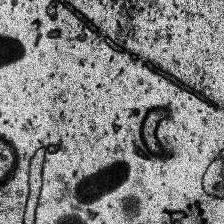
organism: Human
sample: Temporal Lobe